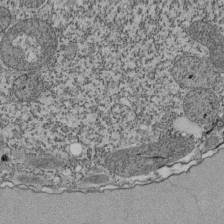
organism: Tetrahymena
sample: Cilia in tetrahymena